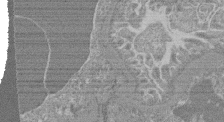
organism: Mouse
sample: Glomerulus